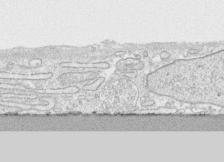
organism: Human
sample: CRL-1474